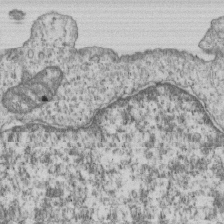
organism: Human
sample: MDA-MB-231 cells